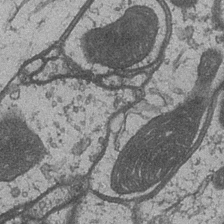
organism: Drosophila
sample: Optic medulla